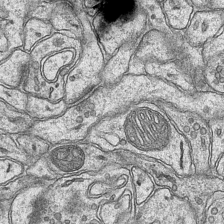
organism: Mouse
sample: CA1 Hippocampus